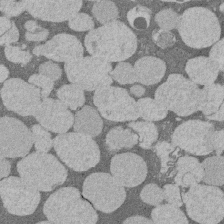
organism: Rat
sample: Salivary granule